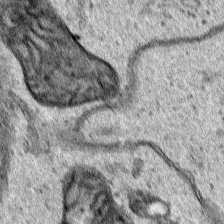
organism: Human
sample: Mitochondria in HCT116 cells